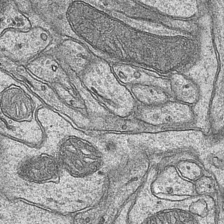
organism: Mouse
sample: CA1 Hippocampus